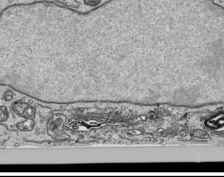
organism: Human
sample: Mitochondria in HCT116 cells